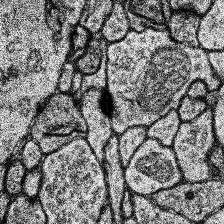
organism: Human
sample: Temporal Lobe